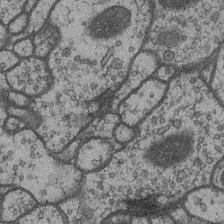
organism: Drosophila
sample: Optic medulla